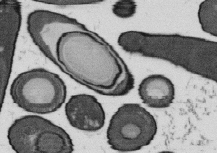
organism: B. subtilis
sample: Bacterial spore